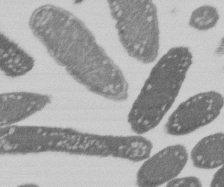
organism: E. coli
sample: Bacterial nucleoid